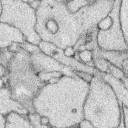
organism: Rabbit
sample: Retina